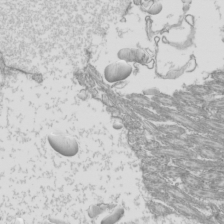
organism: Mouse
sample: Cilia; mouse epididymis